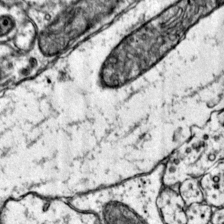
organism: Mouse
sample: Primary visual cortex